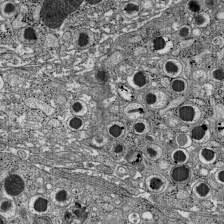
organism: C57BL Mouse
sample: Pancreatic islet